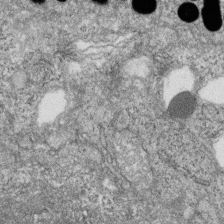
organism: Zebrafish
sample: Cilia; retinal pigment epithelium